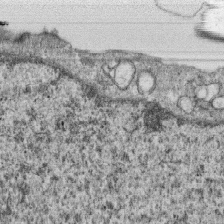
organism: African green monkey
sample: Vero E6 cells infected with SARS-CoV-2